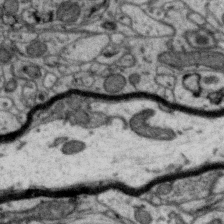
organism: Zebra finch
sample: Brain